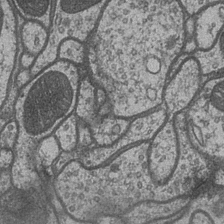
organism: Drosophila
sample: Optic medulla